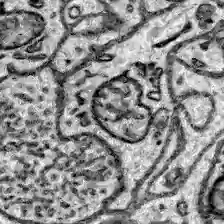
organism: Zebrafish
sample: Brain